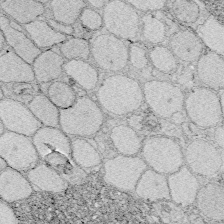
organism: Zebrafish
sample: Whole-Brain